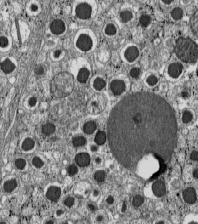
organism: C57BL Mouse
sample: Pancreatic islet